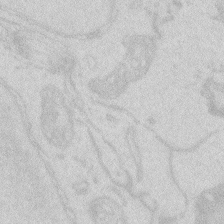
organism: Zebrafish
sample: Macrophage